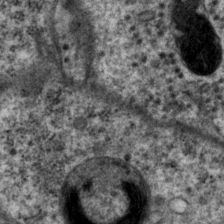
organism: P. pacificus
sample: Pharynx